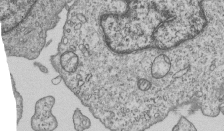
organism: Human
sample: MDA-MB-231 cells